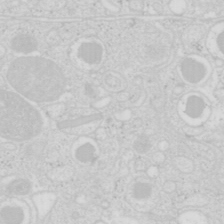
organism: Mouse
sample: Pancreas